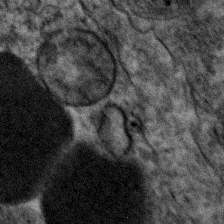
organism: Human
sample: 1205lu cells